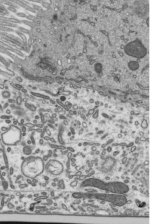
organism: Mouse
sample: Mouse epididymis efferent ductule cilia